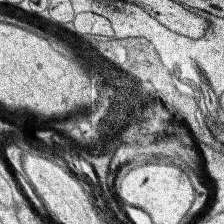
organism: Human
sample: Temporal Lobe